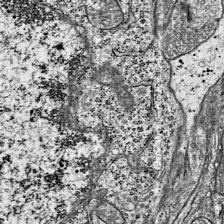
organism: Mouse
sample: Visual Cortex